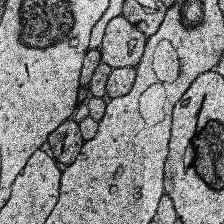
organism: Human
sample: Temporal Lobe